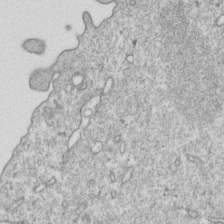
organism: Mouse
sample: Activated OT-1 CD8+ T cells